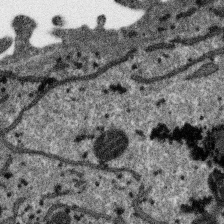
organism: Human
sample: Lung epithelial cells infected with SARS-CoV-2